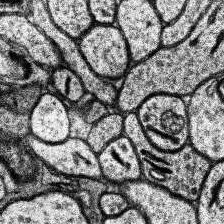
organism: Human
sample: Temporal Lobe